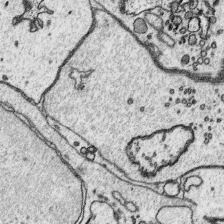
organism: Platynereis dumerilii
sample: Parapodia